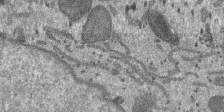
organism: Human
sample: Lung epithelial cells infected with SARS-CoV-2